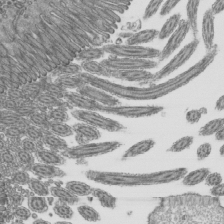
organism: Mouse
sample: Mouse epididymis efferent ductule cilia